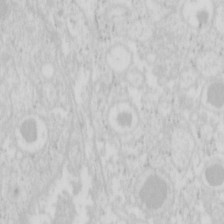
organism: Mouse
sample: Pancreas